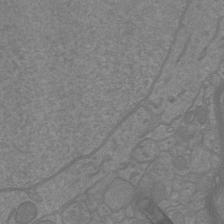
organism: Mouse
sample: Cortical neurons